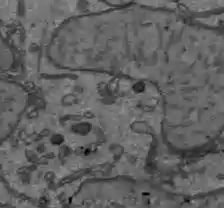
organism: C57BL Mouse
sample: Liver